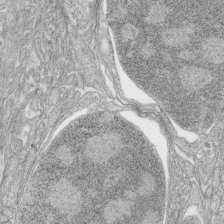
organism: Zebrafish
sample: synaptic ribbons in rod cells and cone cells